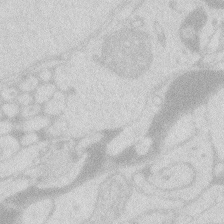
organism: Zebrafish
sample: Macrophage